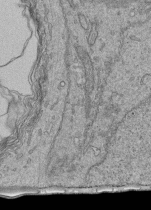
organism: Human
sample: Retinal organoid Rod and Cone cells